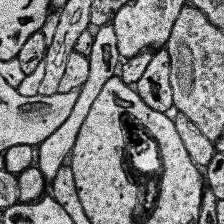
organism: Human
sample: Temporal Lobe